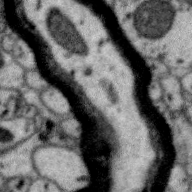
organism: Zebra finch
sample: Brain